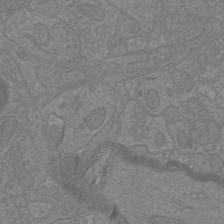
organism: Mouse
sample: Cortical neurons